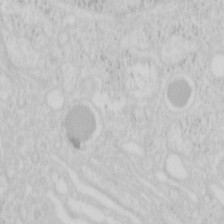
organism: Mouse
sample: Pancreas